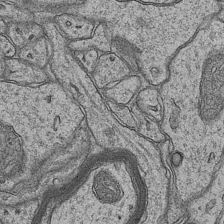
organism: Mouse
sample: CA1 Hippocampus